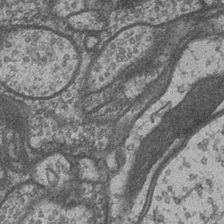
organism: Drosophila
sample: Optic medulla